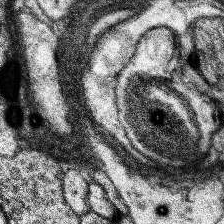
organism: Human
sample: Temporal Lobe